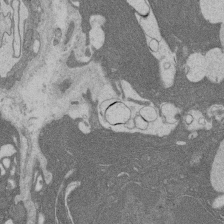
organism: Rat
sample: Salivary granule